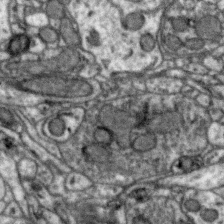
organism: Zebra finch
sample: Brain